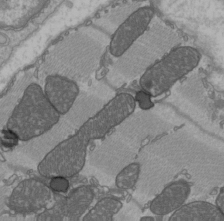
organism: C57BL Mouse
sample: Heart